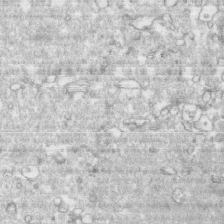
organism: Human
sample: CRL-1474